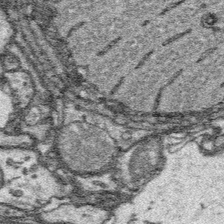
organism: Platynereis dumerilii